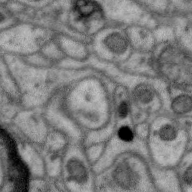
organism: Zebra finch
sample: Brain